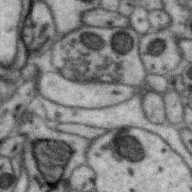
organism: Zebra finch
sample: Brain